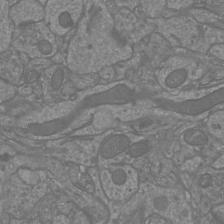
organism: Mouse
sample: Cortical neurons